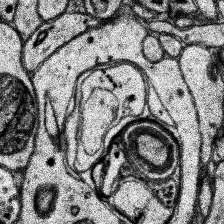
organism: Human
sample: Temporal Lobe